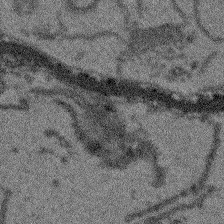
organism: Arabidopsis thaliana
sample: Root tip